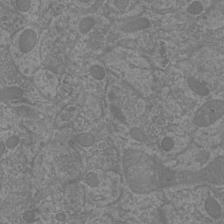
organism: Mouse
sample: Cortical neurons